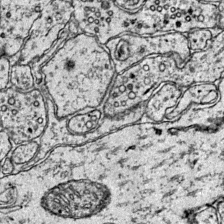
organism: Mouse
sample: Primary visual cortex